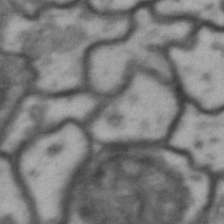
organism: Drosophila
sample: Brain